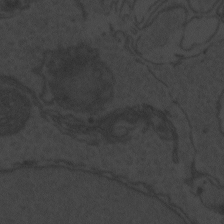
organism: Zebrafish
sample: Macrophage infected with Toxoplasma gondii